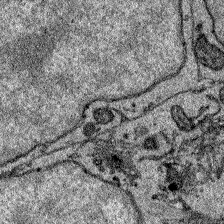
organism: Zebrafish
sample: Larval olfactory bulb